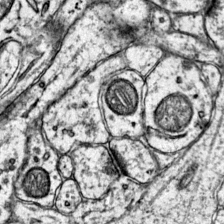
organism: Mouse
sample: Primary visual cortex